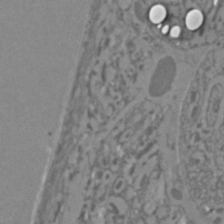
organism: C. elegans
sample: C. elegans embryo